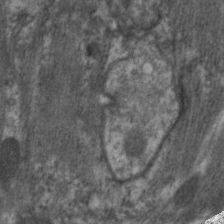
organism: C. elegans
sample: Pharynx